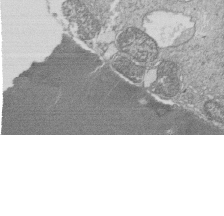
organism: Tetrahymena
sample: Cilia in tetrahymena